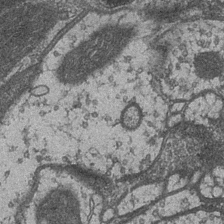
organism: Drosophila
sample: Optic medulla